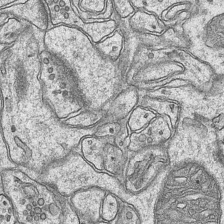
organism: Mouse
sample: CA1 Hippocampus